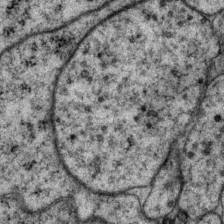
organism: P. pacificus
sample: Pharynx